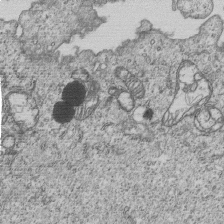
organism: Human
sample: MDA-MB-231 cells